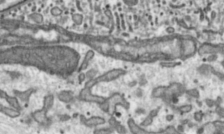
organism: Toxoplasma gondii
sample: Parasites in a vacuole inside a host cell